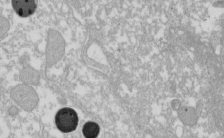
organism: Xenopus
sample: Cilia; centrioles in frog embryo cells